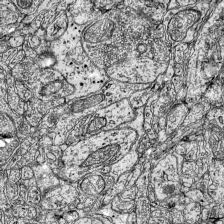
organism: Mouse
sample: Visual Cortex